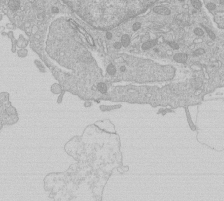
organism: Human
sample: Macrophage cells